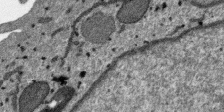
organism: Human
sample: Lung epithelial cells, uninfected (mock) control